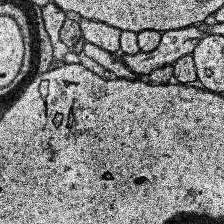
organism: Human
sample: Temporal Lobe